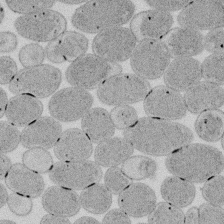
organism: E. coli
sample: Bacterial nucleoid